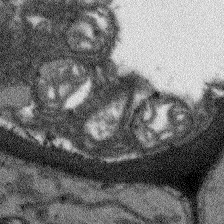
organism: Arabidopsis thaliana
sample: Root tip